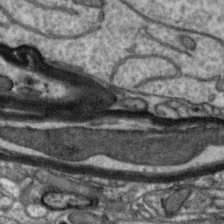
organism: Zebra finch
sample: Brain